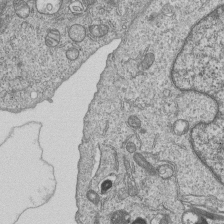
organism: Human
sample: MDA-MB-231 cells